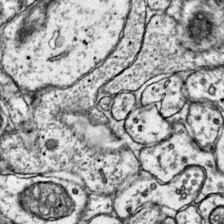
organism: Mouse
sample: Primary visual cortex